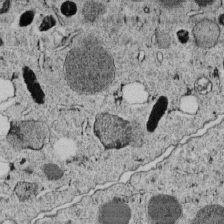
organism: C. elegans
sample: C. elegans embryo early stage